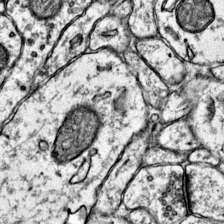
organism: Mouse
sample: Primary visual cortex